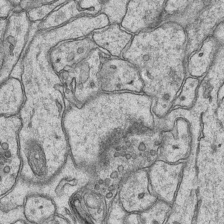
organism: Mouse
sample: CA1 Hippocampus